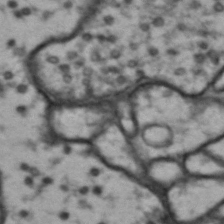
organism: Drosophila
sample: Brain